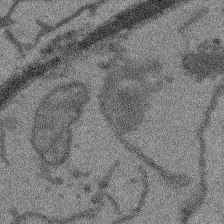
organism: Arabidopsis thaliana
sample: Root tip